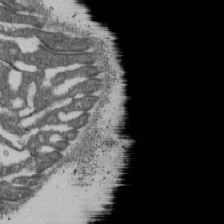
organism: Drosophila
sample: Nephrocyte